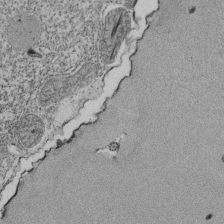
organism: Tetrahymena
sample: Cilia in tetrahymena